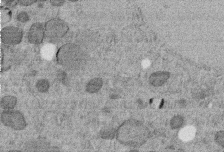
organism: C. elegans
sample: C. elegans embryo early stage